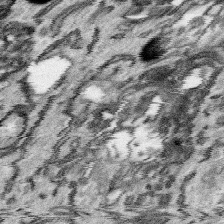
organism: Human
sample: HeLa cells